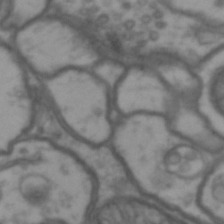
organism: Drosophila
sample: Brain